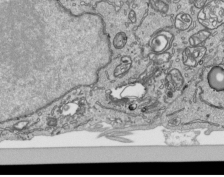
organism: Human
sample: Mitochondria in HCT116 cells